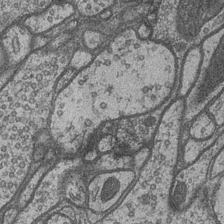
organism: Drosophila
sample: Optic medulla